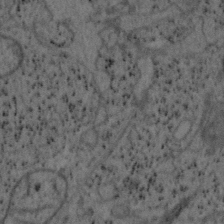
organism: Human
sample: HeLa cells